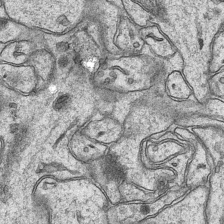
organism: Mouse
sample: CA1 Hippocampus